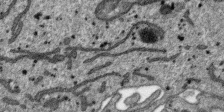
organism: Human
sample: Lung epithelial cells, uninfected (mock) control